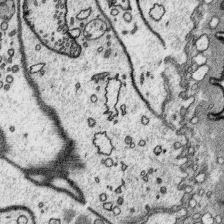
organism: Platynereis dumerilii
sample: Parapodia